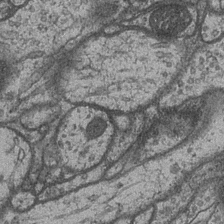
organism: Drosophila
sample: Optic medulla